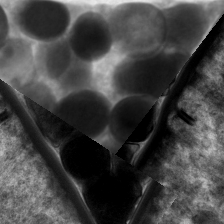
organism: C. elegans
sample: Pharynx